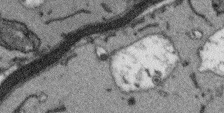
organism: Arabidopsis thaliana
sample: Root tip